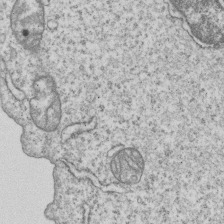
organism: Human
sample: MDA-MB-231 cells